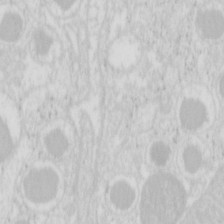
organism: Mouse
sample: Pancreas